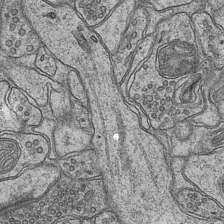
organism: Mouse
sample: CA1 Hippocampus